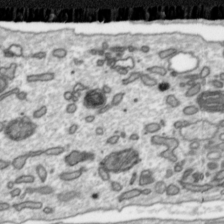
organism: Toxoplasma gondii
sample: Parasites in a vacuole inside a host cell